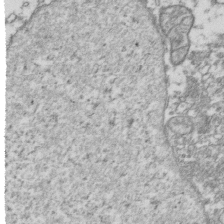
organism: Human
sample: Activated Jurkat CD4+ T cells